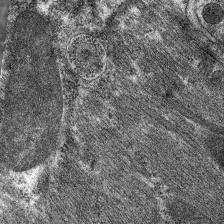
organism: C. elegans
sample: Pharynx